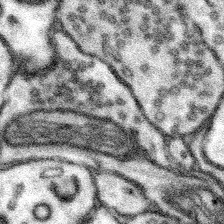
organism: Mouse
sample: Somatosensory cortex neuropil